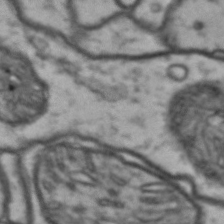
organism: Drosophila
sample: Brain